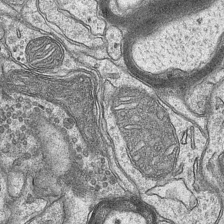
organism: Mouse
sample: CA1 Hippocampus